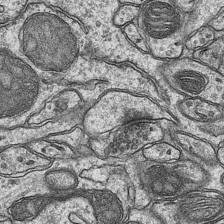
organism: Mouse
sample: CA1 Hippocampus